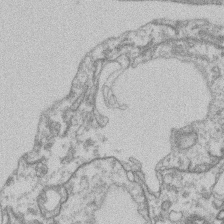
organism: Mouse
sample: T cell stromal cell synapse